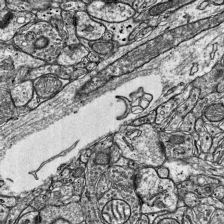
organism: Mouse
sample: Visual Cortex